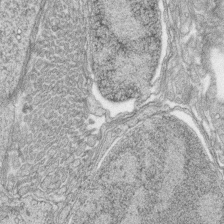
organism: Zebrafish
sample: synaptic ribbons in rod cells and cone cells